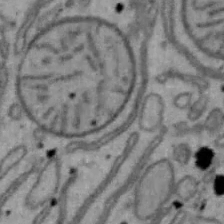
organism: Mouse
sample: Liver